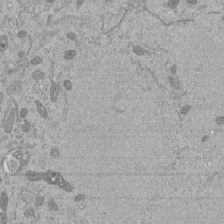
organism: Mouse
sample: ED-1 cell nuclei; centrioles